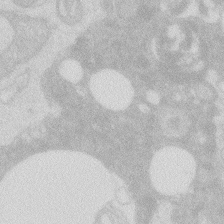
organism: Zebrafish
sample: Macrophage